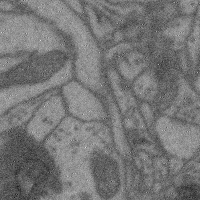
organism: Mouse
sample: Cerebral cortex